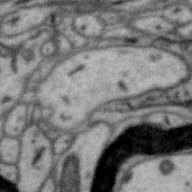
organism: Zebra finch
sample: Brain